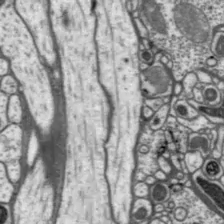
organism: Drosophila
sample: Protocerebral bridge